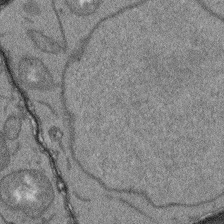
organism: Arabidopsis thaliana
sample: Root tip